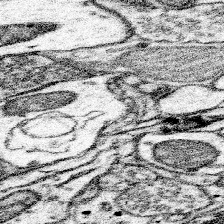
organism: Mouse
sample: Somatosensory cortex neuropil